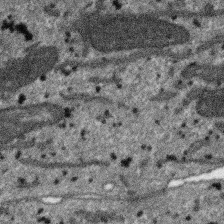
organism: Human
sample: Lung epithelial cells infected with SARS-CoV-2